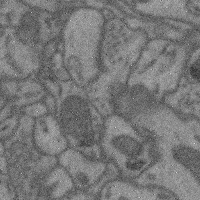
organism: Mouse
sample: Cerebral cortex